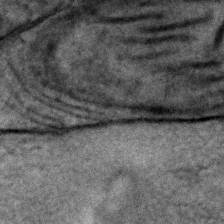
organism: C. elegans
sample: C. elegans embryo